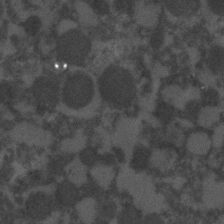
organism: C. elegans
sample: C. elegans embryo